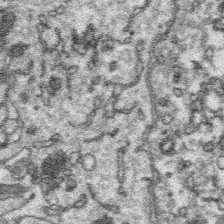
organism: Platynereis dumerilii